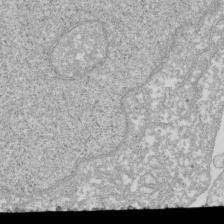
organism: Xenopus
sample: Cilia; centrioles in frog embryo cells